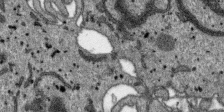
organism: Human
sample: Lung epithelial cells, uninfected (mock) control